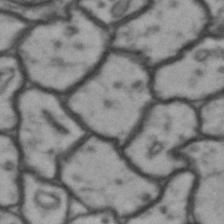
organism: Drosophila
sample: Brain